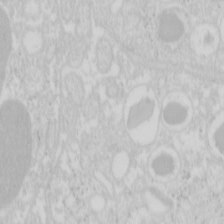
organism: Mouse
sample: Pancreas